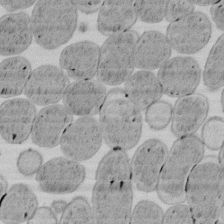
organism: E. coli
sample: Bacterial nucleoid